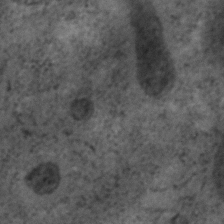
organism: C. elegans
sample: C. elegans embryo